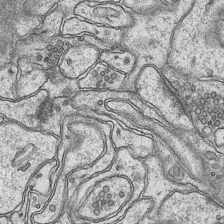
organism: Mouse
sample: CA1 Hippocampus